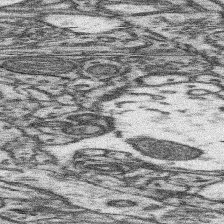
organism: Mouse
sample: Somatosensory cortex neuropil